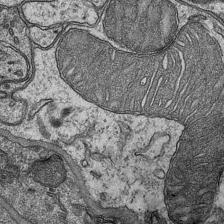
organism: Mouse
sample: CA1 Hippocampus